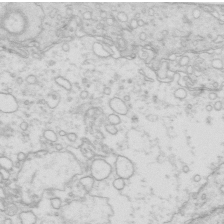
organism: Mouse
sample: Multiciliated cells